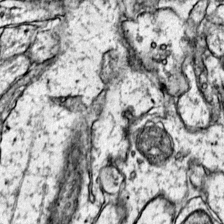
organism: Mouse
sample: Primary visual cortex